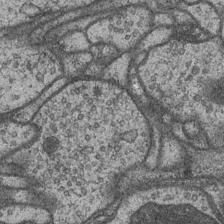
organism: Drosophila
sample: Optic medulla